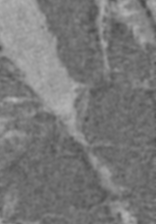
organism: C57BL Mouse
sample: Heart